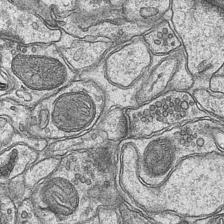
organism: Mouse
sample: CA1 Hippocampus